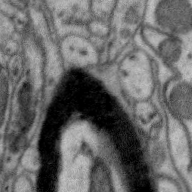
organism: Zebra finch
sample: Brain